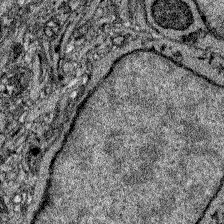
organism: Zebrafish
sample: Larval olfactory bulb